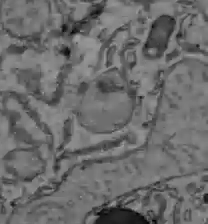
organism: C57BL Mouse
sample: Liver